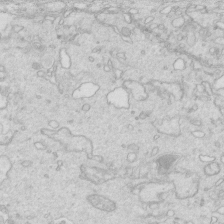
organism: Mouse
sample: Multiciliated cells